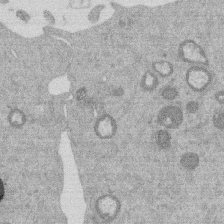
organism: Mouse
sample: Dividing mouse embryo 1 cell stage